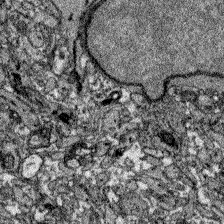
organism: Zebrafish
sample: Larval olfactory bulb